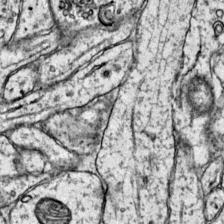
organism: Mouse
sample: Primary visual cortex